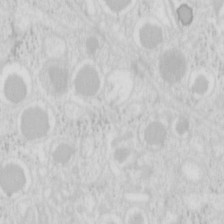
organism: Mouse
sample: Pancreas